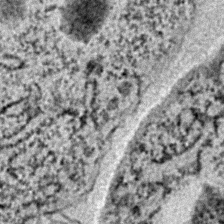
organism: C. elegans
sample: C. elegans embryo